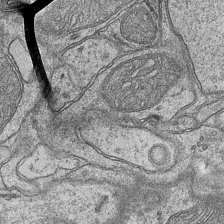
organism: Mouse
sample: CA1 Hippocampus